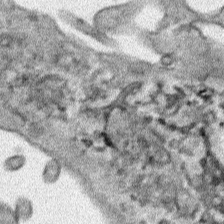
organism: Human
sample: Mitochondria in HCT116 cells